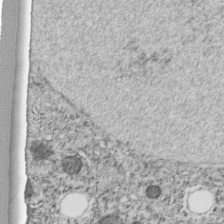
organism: C. elegans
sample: C. elegans embryo early stage